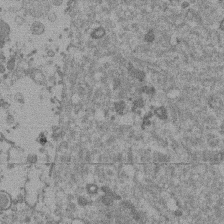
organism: Mouse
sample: Dividing mouse embryo 1 cell stage